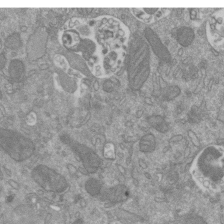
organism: Mouse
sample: ED-1 cell nuclei; centrioles